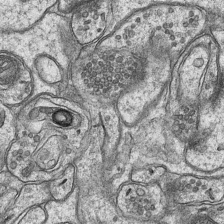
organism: Mouse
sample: CA1 Hippocampus